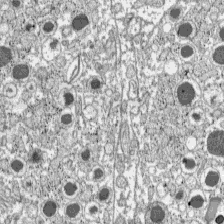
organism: C57BL Mouse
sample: Pancreatic islet